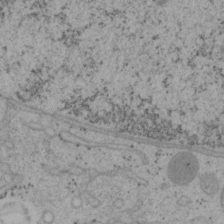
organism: Human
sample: HeLa cells